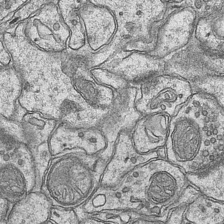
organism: Mouse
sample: CA1 Hippocampus